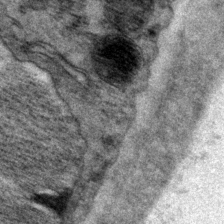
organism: P. pacificus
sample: Pharynx